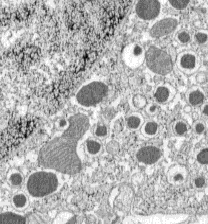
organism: C57BL Mouse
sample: Pancreatic islet